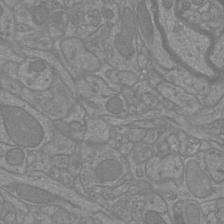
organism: Mouse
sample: Cortical neurons